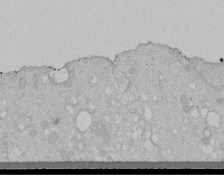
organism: Human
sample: Melanocyte Keratinocyte synapse skin construct